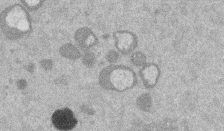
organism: Mouse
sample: Dividing mouse embryo 1 cell stage